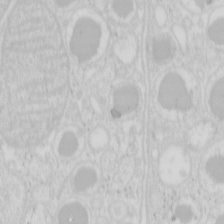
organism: Mouse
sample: Pancreas